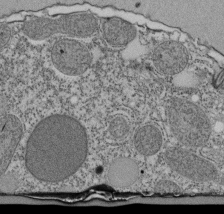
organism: Tetrahymena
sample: Cilia in tetrahymena